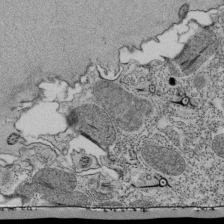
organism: Tetrahymena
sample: Cilia in tetrahymena